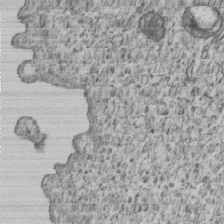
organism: Human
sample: MDA-MB-231 cells